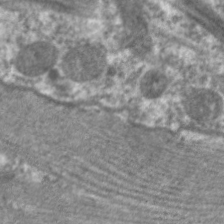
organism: C. elegans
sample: Pharynx